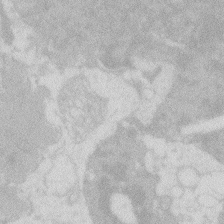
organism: Zebrafish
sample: Macrophage